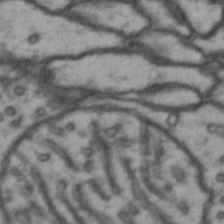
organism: Drosophila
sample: Brain